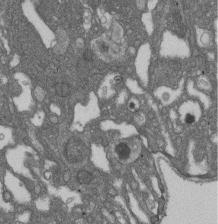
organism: Drosophila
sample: Nephrocyte